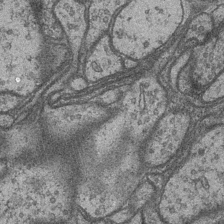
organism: Drosophila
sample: Optic medulla